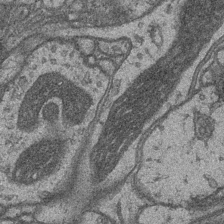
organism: Drosophila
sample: Optic medulla